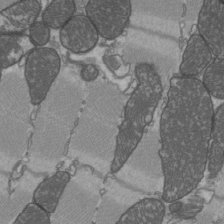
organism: C57BL Mouse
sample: Heart